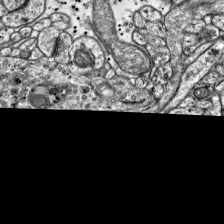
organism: Mouse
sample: Visual Cortex